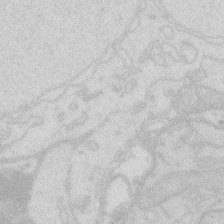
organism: Zebrafish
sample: Macrophage